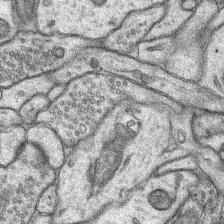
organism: Rat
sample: Hippocampus